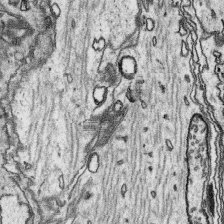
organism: Platynereis dumerilii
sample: Parapodia